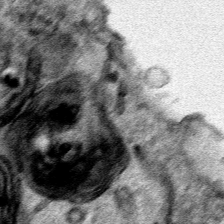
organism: Human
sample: Mitochondria in HCT116 cells